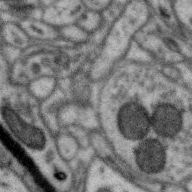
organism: Zebra finch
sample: Brain